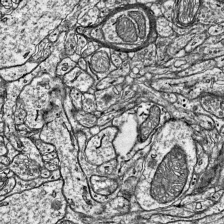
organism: Mouse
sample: Visual Cortex